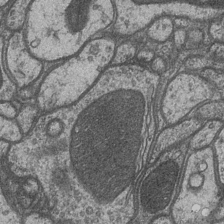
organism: Drosophila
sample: Optic medulla